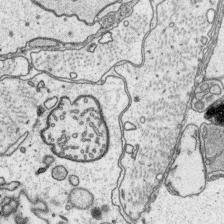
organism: Platynereis dumerilii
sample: Parapodia